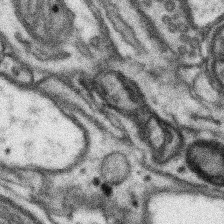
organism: Mouse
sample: Somatosensory cortex neuropil